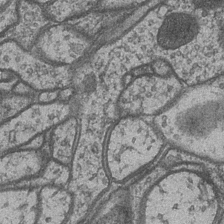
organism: Drosophila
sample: Optic medulla